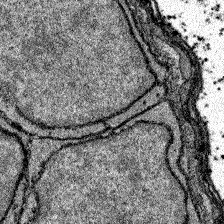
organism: Zebrafish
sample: Larval olfactory bulb